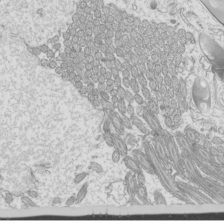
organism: Mouse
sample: Cilia; mouse epididymis